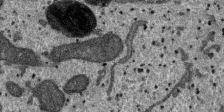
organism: Human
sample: Lung epithelial cells, uninfected (mock) control